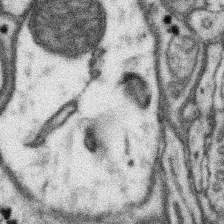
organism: Mouse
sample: Somatosensory cortex neuropil